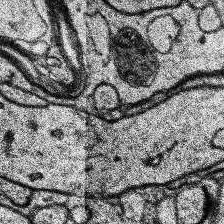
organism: Human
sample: Temporal Lobe